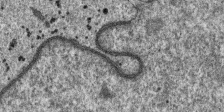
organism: Human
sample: Lung epithelial cells infected with SARS-CoV-2